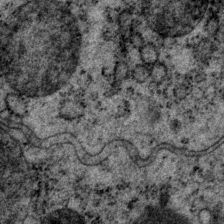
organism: P. pacificus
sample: Pharynx